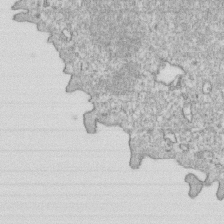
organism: Mouse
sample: Activated OT-1 CD8+ T cells